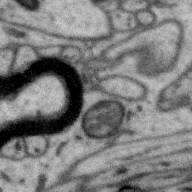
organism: Zebra finch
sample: Brain